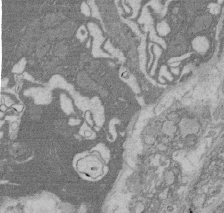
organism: Rat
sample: Salivary granule